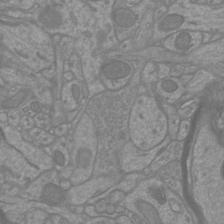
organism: Mouse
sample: Cortical neurons